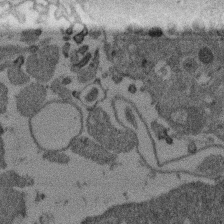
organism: Mouse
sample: Dividing mouse embryo 1 cell stage